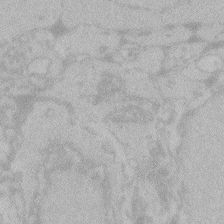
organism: Zebrafish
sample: Macrophage infected with Toxoplasma gondii